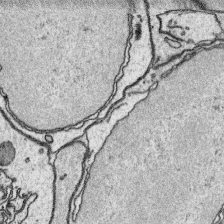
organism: Platynereis dumerilii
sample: Parapodia